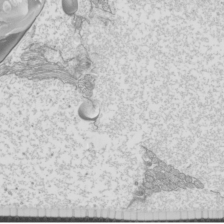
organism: Mouse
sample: Cilia; mouse epididymis